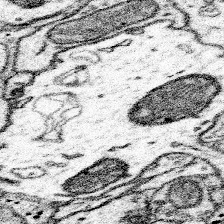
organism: Mouse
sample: Somatosensory cortex neuropil